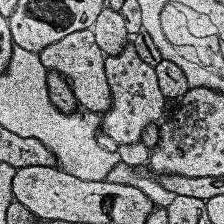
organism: Human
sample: Temporal Lobe